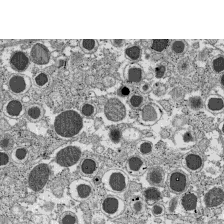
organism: C57BL Mouse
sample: Pancreatic islet